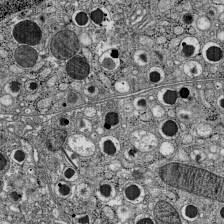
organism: C57BL Mouse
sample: Pancreatic islet